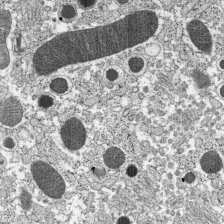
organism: C57BL Mouse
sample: Pancreatic islet